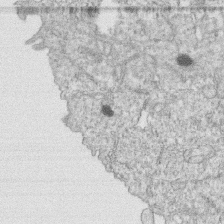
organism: Human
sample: HeLa cell HIV synapse